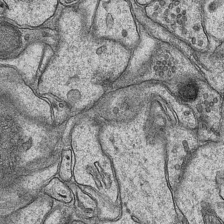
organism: Mouse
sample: CA1 Hippocampus